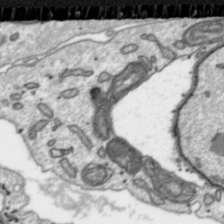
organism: Toxoplasma gondii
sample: Parasites in a vacuole inside a host cell